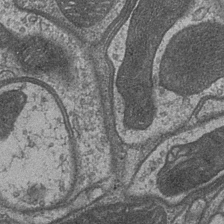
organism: Drosophila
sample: Optic medulla